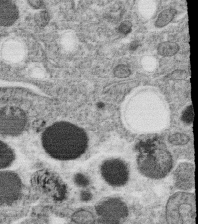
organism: C. elegans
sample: C. elegans oocyte; sperm cells